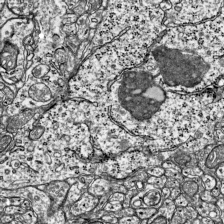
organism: Mouse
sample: Visual Cortex